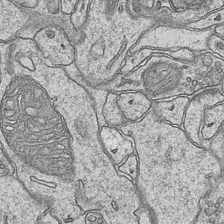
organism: Mouse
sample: CA1 Hippocampus